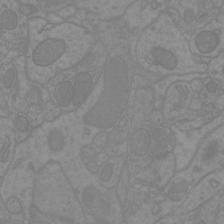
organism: Mouse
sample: Cortical neurons